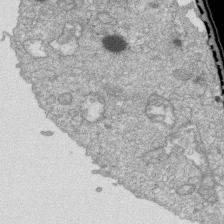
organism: Human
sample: HeLa cell HIV synapse